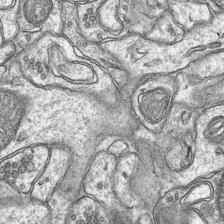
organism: Mouse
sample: CA1 Hippocampus